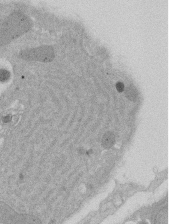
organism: Rat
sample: Salivary granule